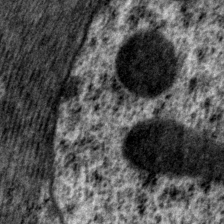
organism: P. pacificus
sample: Pharynx